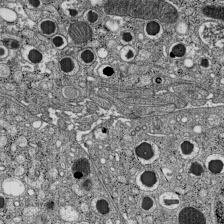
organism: C57BL Mouse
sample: Pancreatic islet